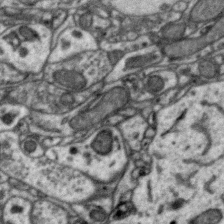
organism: Zebra finch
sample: Brain